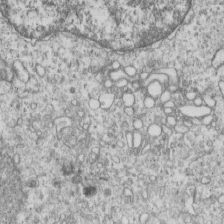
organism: Human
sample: MDA-MB-231 cells